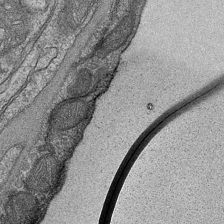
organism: Mouse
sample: CA1 Hippocampus